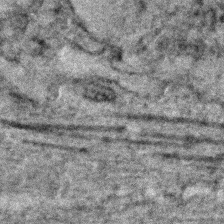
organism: C. elegans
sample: C. elegans embryo